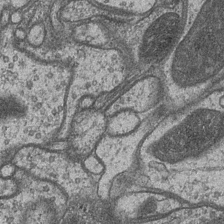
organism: Drosophila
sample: Optic medulla